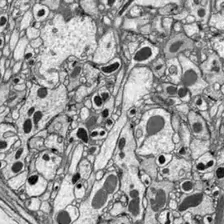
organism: Drosophila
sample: Optic lobe